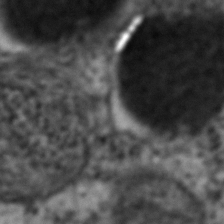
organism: C. elegans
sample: C. elegans embryo